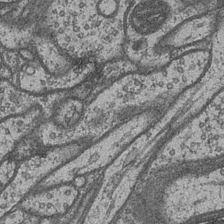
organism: Drosophila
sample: Optic medulla